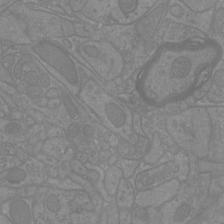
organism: Mouse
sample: Cortical neurons